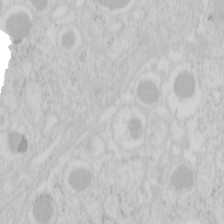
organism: Mouse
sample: Pancreas